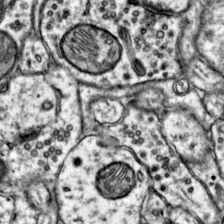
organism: Mouse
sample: Primary visual cortex